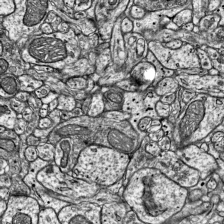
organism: Mouse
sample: Visual Cortex